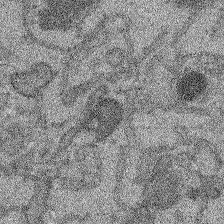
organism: Human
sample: HeLa cells